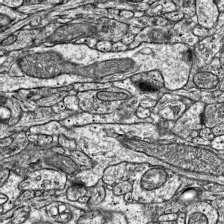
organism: Mouse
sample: Visual Cortex